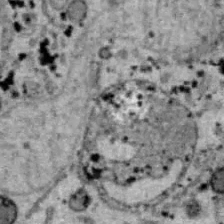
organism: Mouse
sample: Liver from an obese (ob/ob) mouse